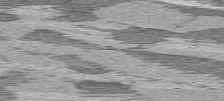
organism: C57BL Mouse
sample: Heart